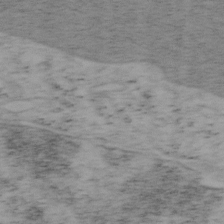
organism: Mouse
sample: OT-I killer T cells with ID8 ovarian cancer cells